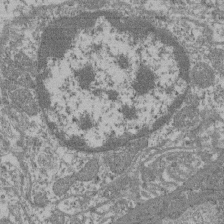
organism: Mouse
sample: Glomerulus